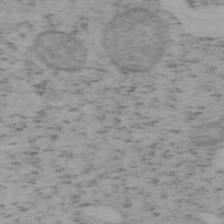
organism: Mouse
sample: OT-I killer T cells with ID8 ovarian cancer cells